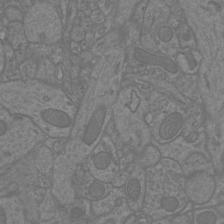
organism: Mouse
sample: Cortical neurons